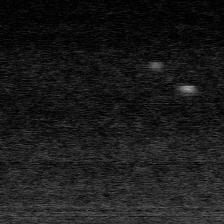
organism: Human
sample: HeLa cells